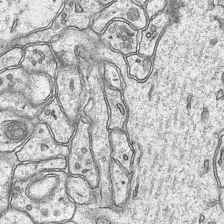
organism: Mouse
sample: CA1 Hippocampus